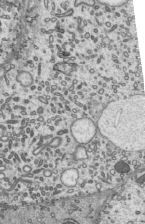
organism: Mouse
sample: Mouse epididymis efferent ductule cilia